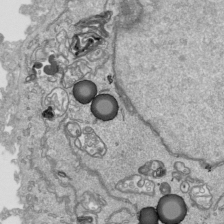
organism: Human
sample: Mitochondria in HCT116 cells